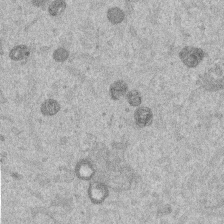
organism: Mouse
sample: Dividing mouse embryo 1 cell stage